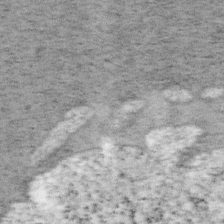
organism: Mouse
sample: OT-I killer T cells with ID8 ovarian cancer cells